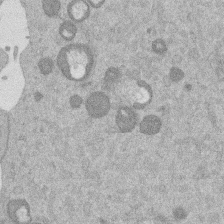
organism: Mouse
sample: Dividing mouse embryo 1 cell stage